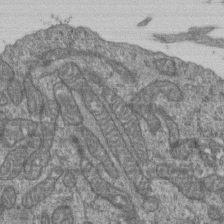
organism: Human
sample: Retinal organoid Rod and Cone cells